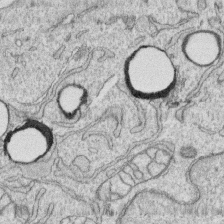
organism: Human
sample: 1205lu cells